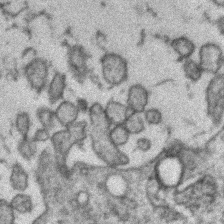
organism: Zebrafish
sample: Zebrafish embryo